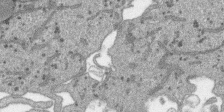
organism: Human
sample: Lung epithelial cells infected with SARS-CoV-2